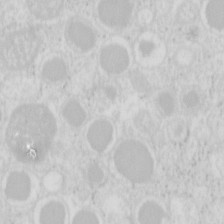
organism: Mouse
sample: Pancreas